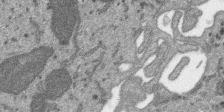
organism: Human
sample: Lung epithelial cells infected with SARS-CoV-2